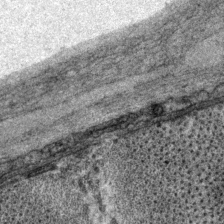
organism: P. pacificus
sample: Pharynx